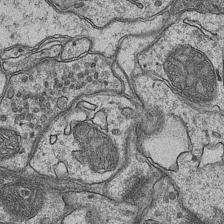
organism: Mouse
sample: CA1 Hippocampus